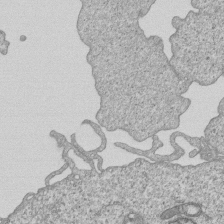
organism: Human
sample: MDA-MB-231 cells